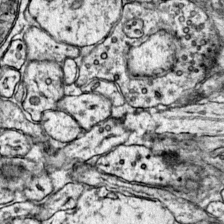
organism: Mouse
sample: Primary visual cortex